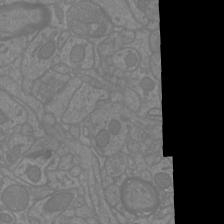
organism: Mouse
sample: Cortical neurons